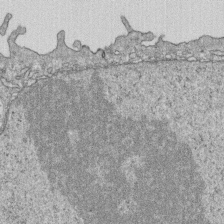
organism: Human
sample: HeLa cell HIV synapse